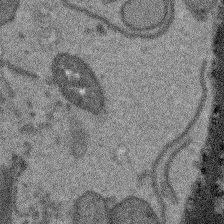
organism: Arabidopsis thaliana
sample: Root tip